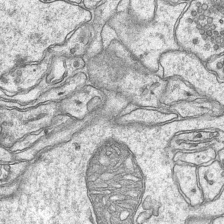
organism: Mouse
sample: CA1 Hippocampus